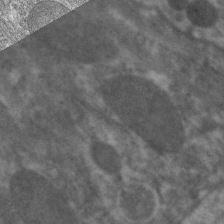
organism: C. elegans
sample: Pharynx